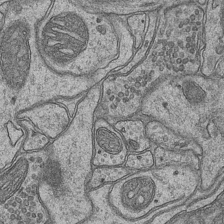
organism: Mouse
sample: CA1 Hippocampus